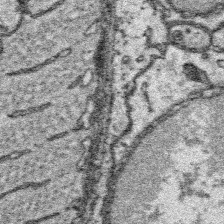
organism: Platynereis dumerilii